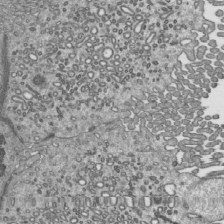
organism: Mouse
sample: Mouse epididymis efferent ductule cilia